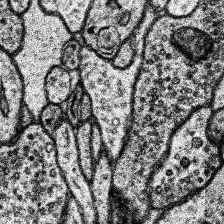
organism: Human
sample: Temporal Lobe